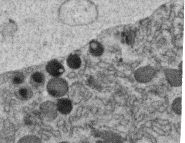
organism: C. elegans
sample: C. elegans oocyte; sperm cells